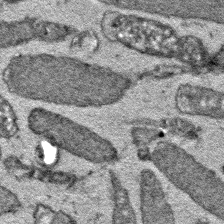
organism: E. coli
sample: E. Coli Bacteria